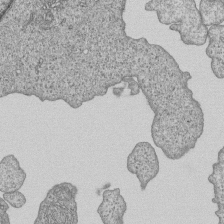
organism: Human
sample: MDA-MB-231 cells